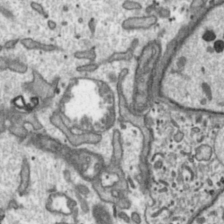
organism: Toxoplasma gondii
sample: Parasites in a vacuole inside a host cell